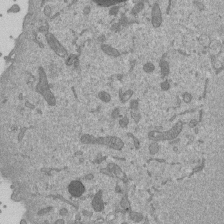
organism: Mouse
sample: ED-1 cell nuclei; centrioles